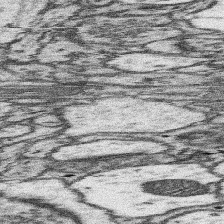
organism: Mouse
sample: Somatosensory cortex neuropil